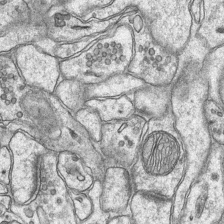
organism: Mouse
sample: CA1 Hippocampus